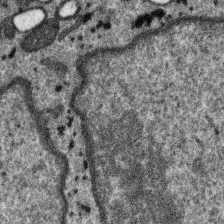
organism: Human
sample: Lung epithelial cells infected with SARS-CoV-2